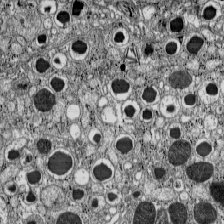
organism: C57BL Mouse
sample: Pancreatic islet